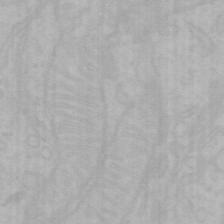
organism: Mouse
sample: Choroid plexus